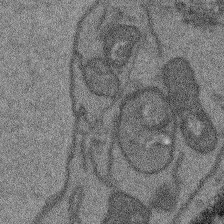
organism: Arabidopsis thaliana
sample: Root tip